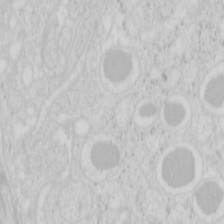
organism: Mouse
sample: Pancreas